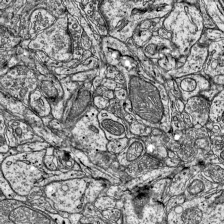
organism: Mouse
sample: Visual Cortex